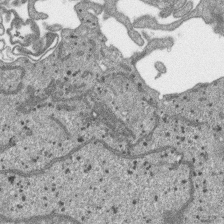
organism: Human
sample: Lung epithelial cells infected with SARS-CoV-2